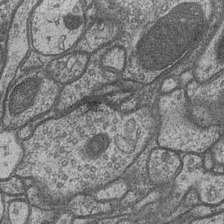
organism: Drosophila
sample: Optic medulla